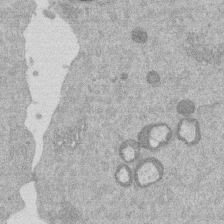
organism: Mouse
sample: Dividing mouse embryo 1 cell stage